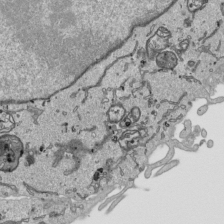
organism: Human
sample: Mitochondria in HCT116 cells